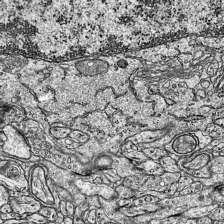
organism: Mouse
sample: Visual Cortex